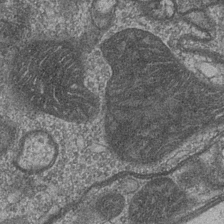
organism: Drosophila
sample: Optic medulla